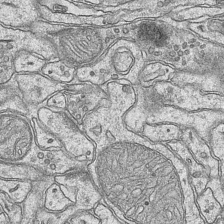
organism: Mouse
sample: CA1 Hippocampus